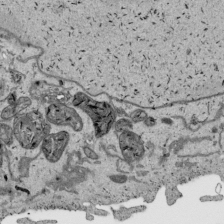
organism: Human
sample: Mitochondria in HCT116 cells